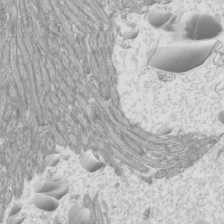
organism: Mouse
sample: Cilia; mouse epididymis